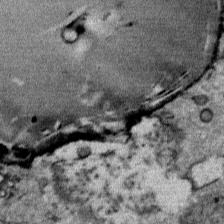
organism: Mouse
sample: Mouse Salivary gland